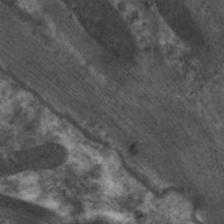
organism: C. elegans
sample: Pharynx